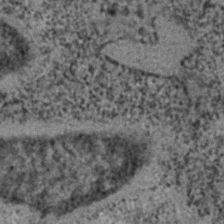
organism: C. elegans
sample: C. elegans embryo